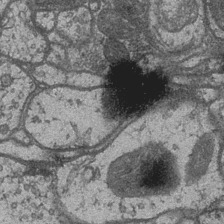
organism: Drosophila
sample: Optic medulla